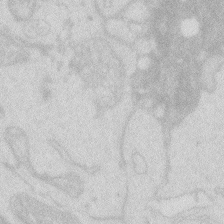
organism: Zebrafish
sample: Macrophage